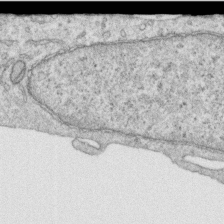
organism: Human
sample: Centriole in RPE cells